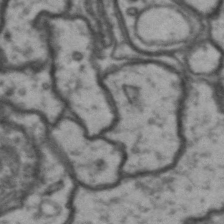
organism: Drosophila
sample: Brain